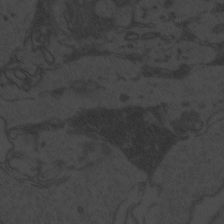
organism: Zebrafish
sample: Macrophage infected with Toxoplasma gondii